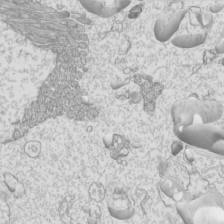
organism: Mouse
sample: Cilia; mouse epididymis